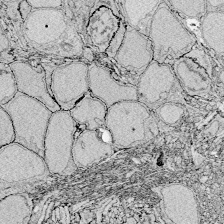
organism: Zebrafish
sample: Whole-Brain